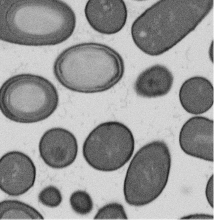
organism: B. subtilis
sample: Bacterial spore